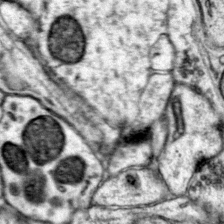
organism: Mouse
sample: Primary visual cortex